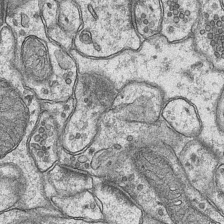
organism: Mouse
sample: CA1 Hippocampus